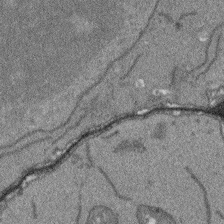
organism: Arabidopsis thaliana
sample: Root tip